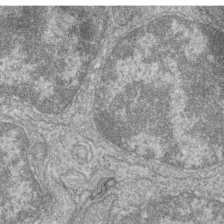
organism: Zebrafish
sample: Cilia; retinal pigment epithelium